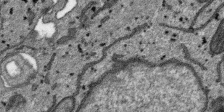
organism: Human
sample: Lung epithelial cells, uninfected (mock) control